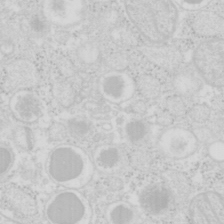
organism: Mouse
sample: Pancreas